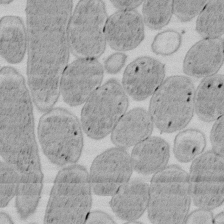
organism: E. coli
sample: Bacterial nucleoid